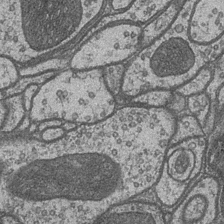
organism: Drosophila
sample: Optic medulla